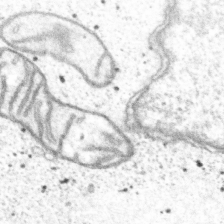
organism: Human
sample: HeLa cells